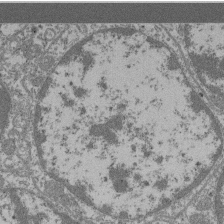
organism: Mouse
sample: Glomerulus